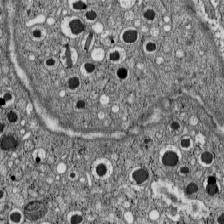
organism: C57BL Mouse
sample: Pancreatic islet